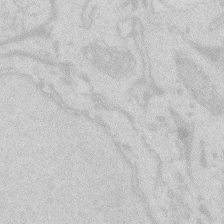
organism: Zebrafish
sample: Macrophage